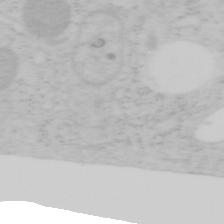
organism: Mouse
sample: OT-I killer T cells with ID8 ovarian cancer cells